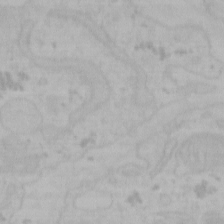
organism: Mouse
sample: Choroid plexus